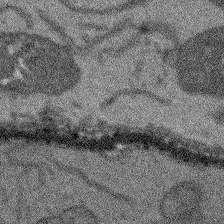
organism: Arabidopsis thaliana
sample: Root tip